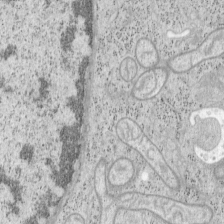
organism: Mouse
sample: OT-I killer T cells with ID8 ovarian cancer cells